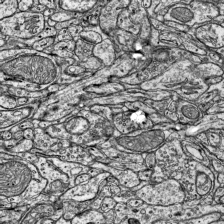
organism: Mouse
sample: Visual Cortex